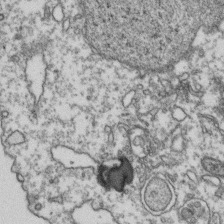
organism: Human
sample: Activated Jurkat CD4+ T cells